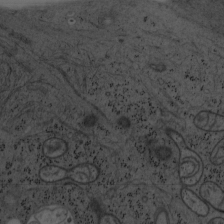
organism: Mouse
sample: OT-I killer T cells with ID8 ovarian cancer cells